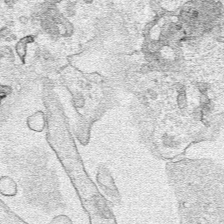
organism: Human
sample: Mitochondria in HCT116 cells